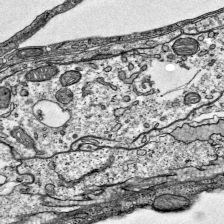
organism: Mouse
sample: Visual Cortex